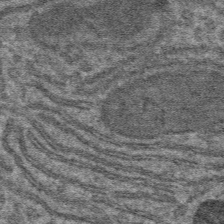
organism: Mouse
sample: Mouse hepatocytes